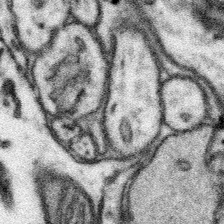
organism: Mouse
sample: Somatosensory cortex neuropil